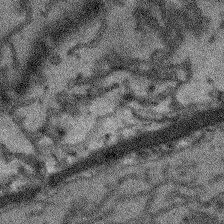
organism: Arabidopsis thaliana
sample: Root tip